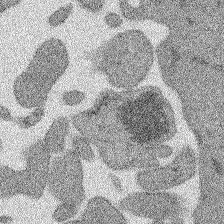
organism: Human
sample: HeLa cells